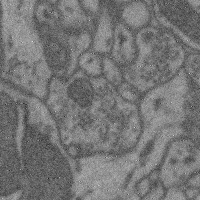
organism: Mouse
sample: Cerebral cortex